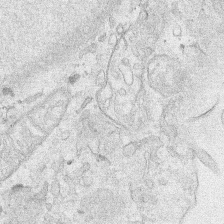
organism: Human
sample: Mitochondria in HCT116 cells